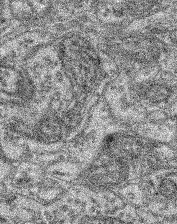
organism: Mouse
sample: Retina